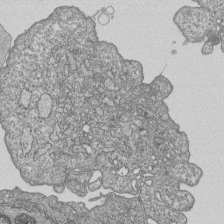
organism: Human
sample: MDA-MB-231 cells